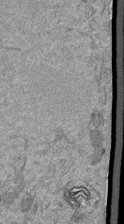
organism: Mouse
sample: ED-1 cell nuclei; centrioles